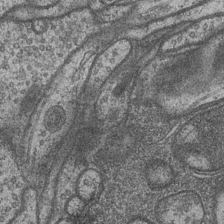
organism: Drosophila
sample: Optic medulla